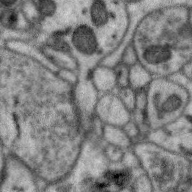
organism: Zebra finch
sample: Brain